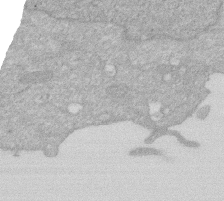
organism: Human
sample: HIV infected U937 cells